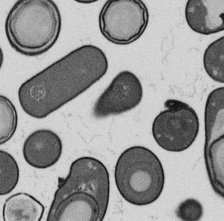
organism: B. subtilis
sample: Bacterial spore